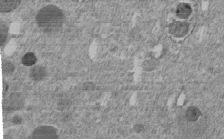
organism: C. elegans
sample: C. elegans embryo early stage